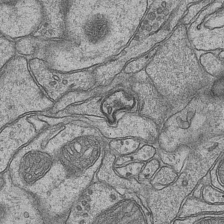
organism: Mouse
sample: CA1 Hippocampus